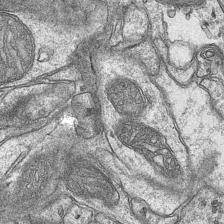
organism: Mouse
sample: CA1 Hippocampus